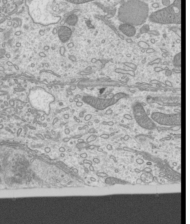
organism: Mouse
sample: Cilia; mouse epididymis